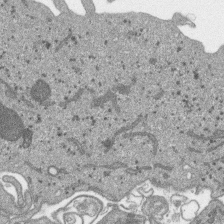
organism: Human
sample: Lung epithelial cells infected with SARS-CoV-2